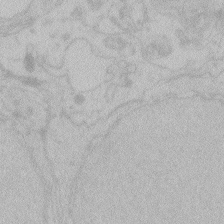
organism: Zebrafish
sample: Macrophage infected with Toxoplasma gondii